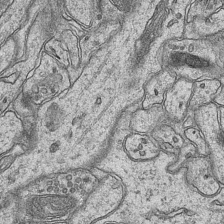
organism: Mouse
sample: CA1 Hippocampus